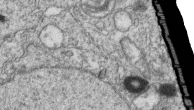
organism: Human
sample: HeLa cell HIV synapse